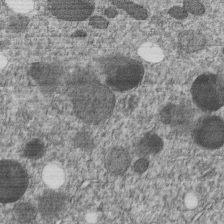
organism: C. elegans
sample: C. elegans embryo early stage